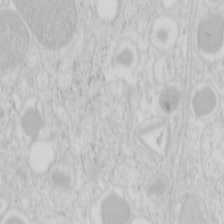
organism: Mouse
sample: Pancreas